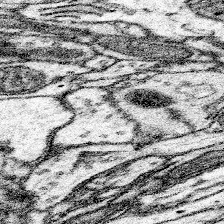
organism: Mouse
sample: Somatosensory cortex neuropil